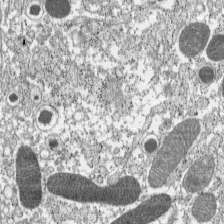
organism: C57BL Mouse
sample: Pancreatic islet